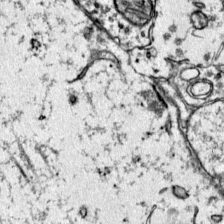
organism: Mouse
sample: Primary visual cortex